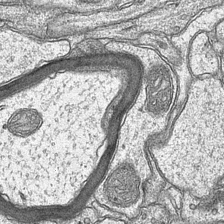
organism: Mouse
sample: CA1 Hippocampus